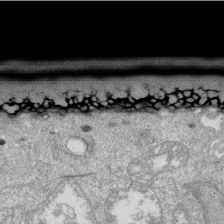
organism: Human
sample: HeLa cell HIV synapse